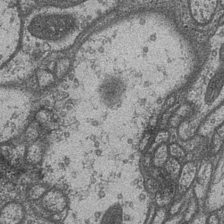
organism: Drosophila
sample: Optic medulla